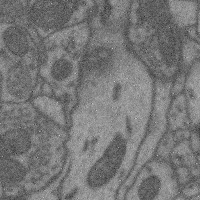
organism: Mouse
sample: Cerebral cortex